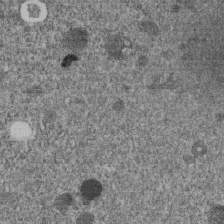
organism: C. elegans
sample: C. elegans embryo early stage